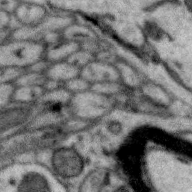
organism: Zebra finch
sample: Brain